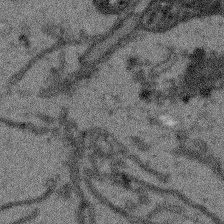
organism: Arabidopsis thaliana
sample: Root tip